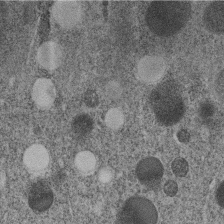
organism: C. elegans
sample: C. elegans embryo early stage